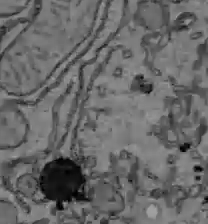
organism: C57BL Mouse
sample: Liver